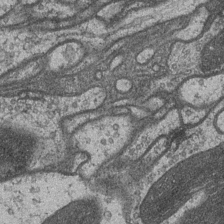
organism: Drosophila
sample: Optic medulla